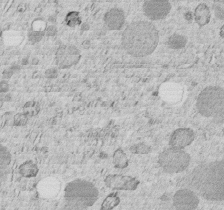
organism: C. elegans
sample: C. elegans embryo early stage